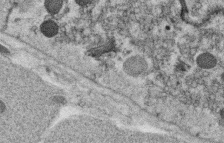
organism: C. elegans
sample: C. elegans oocyte; sperm cells